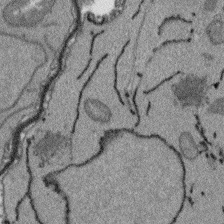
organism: Arabidopsis thaliana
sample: Root tip